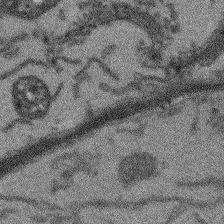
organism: Arabidopsis thaliana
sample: Root tip